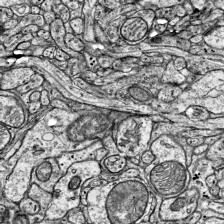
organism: Mouse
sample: Visual Cortex